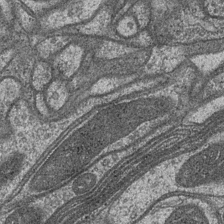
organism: Drosophila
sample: Optic medulla